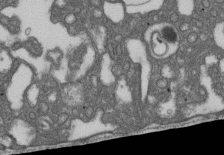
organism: Drosophila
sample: Nephrocyte